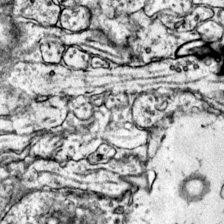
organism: Mouse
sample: Primary visual cortex